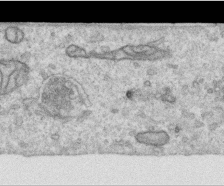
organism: Human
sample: Centriole in RPE cells